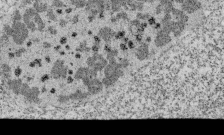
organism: Tetrahymena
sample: Cilia in tetrahymena